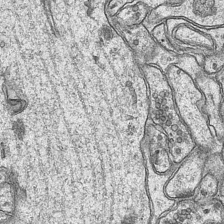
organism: Mouse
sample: CA1 Hippocampus